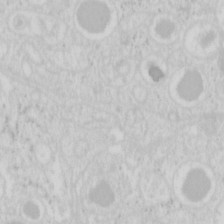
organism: Mouse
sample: Pancreas